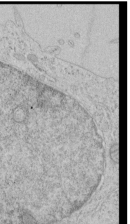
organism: Human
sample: Mitochondria in HCT116 cells